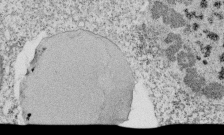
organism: Tetrahymena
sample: Cilia in tetrahymena